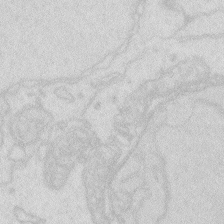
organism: Zebrafish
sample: Macrophage